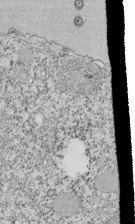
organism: Tetrahymena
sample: Cilia in tetrahymena